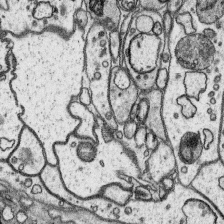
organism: Platynereis dumerilii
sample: Parapodia